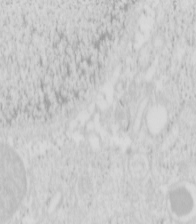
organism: Mouse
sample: Pancreas